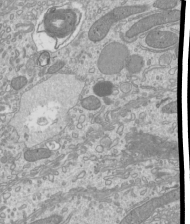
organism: Mouse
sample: Cilia; mouse epididymis